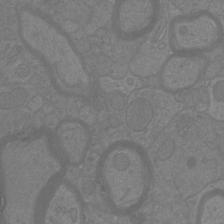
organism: Mouse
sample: Cortical neurons